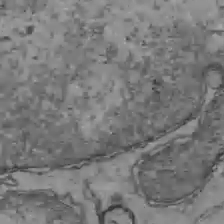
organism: C57BL Mouse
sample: Liver